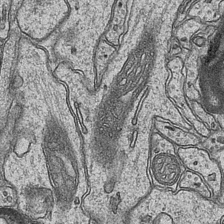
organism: Mouse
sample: CA1 Hippocampus